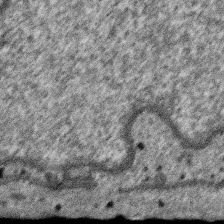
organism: Human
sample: Lung epithelial cells infected with SARS-CoV-2